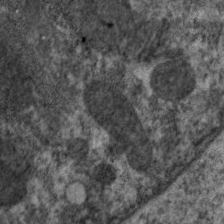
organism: C. elegans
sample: Pharynx